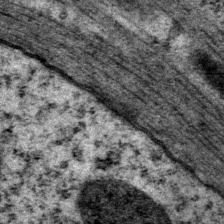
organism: P. pacificus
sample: Pharynx